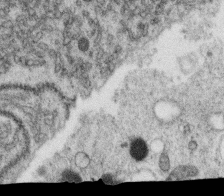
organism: C. elegans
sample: C. elegans oocyte; sperm cells